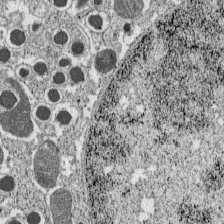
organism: C57BL Mouse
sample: Pancreatic islet